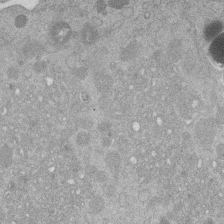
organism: Mouse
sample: Dividing mouse embryo 1 cell stage